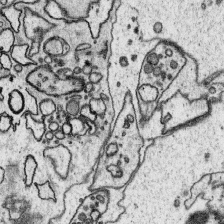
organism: Platynereis dumerilii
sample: Parapodia